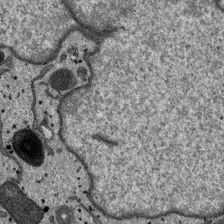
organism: Human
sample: Lung epithelial cells, uninfected (mock) control